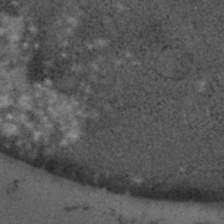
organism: C. elegans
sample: C. elegans embryo